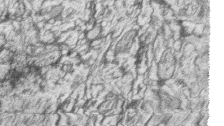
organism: Zebrafish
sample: synaptic ribbons in rod cells and cone cells